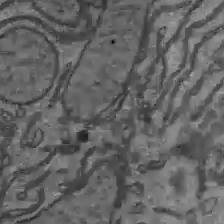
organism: C57BL Mouse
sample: Liver